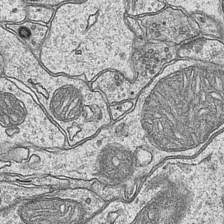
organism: Mouse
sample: CA1 Hippocampus